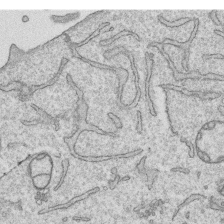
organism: Human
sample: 1205lu cells